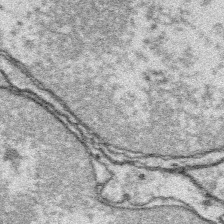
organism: Platynereis dumerilii